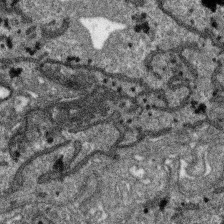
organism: Human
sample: Lung epithelial cells infected with SARS-CoV-2